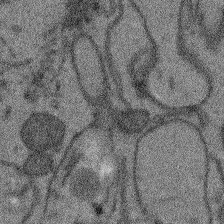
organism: Arabidopsis thaliana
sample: Root tip